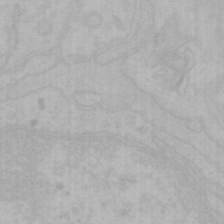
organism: Mouse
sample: Choroid plexus